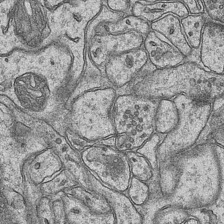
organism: Mouse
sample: CA1 Hippocampus